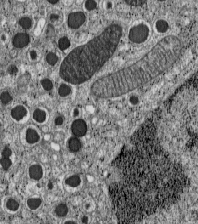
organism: C57BL Mouse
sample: Pancreatic islet